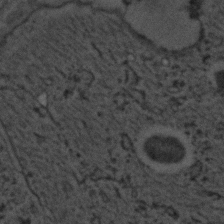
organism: C. elegans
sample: C. elegans embryo